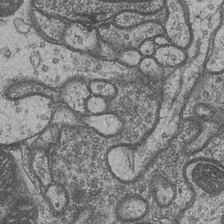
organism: Drosophila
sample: Optic medulla